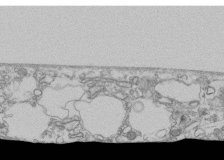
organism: Human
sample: Fibroblast cells